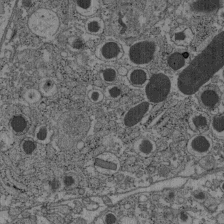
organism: C57BL Mouse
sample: Pancreatic islet